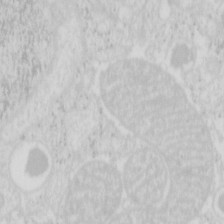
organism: Mouse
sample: Pancreas